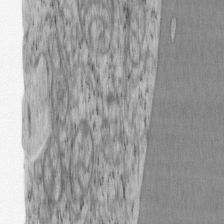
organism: Human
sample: HeLa cells